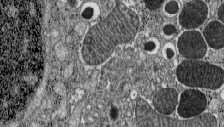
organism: C57BL Mouse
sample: Pancreatic islet